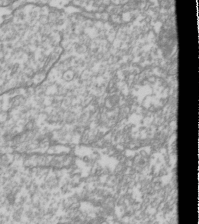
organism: Drosophila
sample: Cell division; meiosis; drosophila spermatocytes